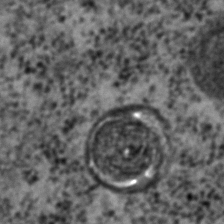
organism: C. elegans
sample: C. elegans embryo